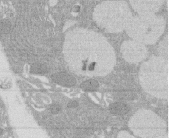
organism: Rat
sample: Salivary granule